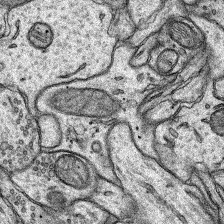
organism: Rat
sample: Hippocampus